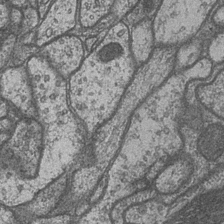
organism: Drosophila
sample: Optic medulla